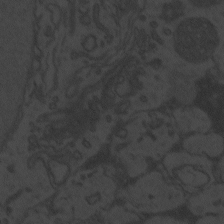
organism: Zebrafish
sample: Macrophage infected with Toxoplasma gondii